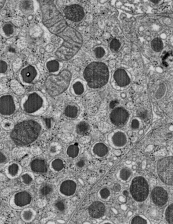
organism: C57BL Mouse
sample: Pancreatic islet